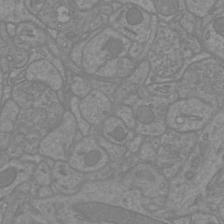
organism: Mouse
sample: Cortical neurons